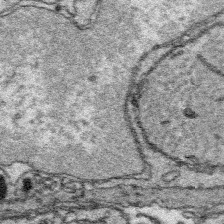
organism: Platynereis dumerilii